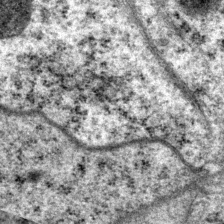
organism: P. pacificus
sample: Pharynx